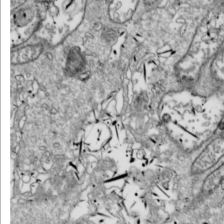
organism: Drosophila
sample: Cell division; meiosis; drosophila spermatocytes